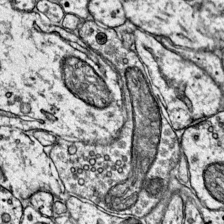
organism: Mouse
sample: Primary visual cortex